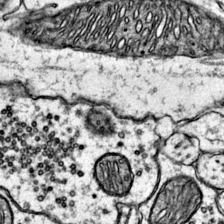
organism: Mouse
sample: Primary visual cortex